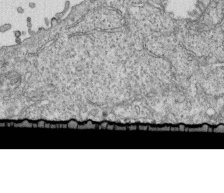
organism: Human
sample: HeLa cell HIV synapse